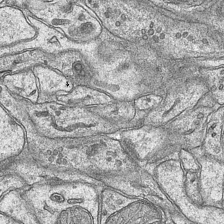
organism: Mouse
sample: CA1 Hippocampus